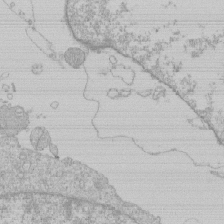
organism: Human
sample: Macrophage cells